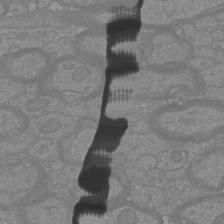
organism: Mouse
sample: Cortical neurons